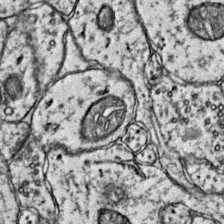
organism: Mouse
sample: Primary visual cortex